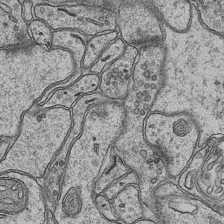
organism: Mouse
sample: CA1 Hippocampus